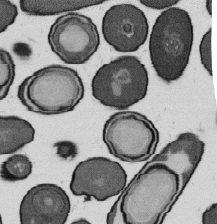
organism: B. subtilis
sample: Bacterial spore